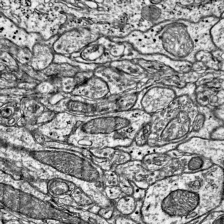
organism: Mouse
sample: Visual Cortex